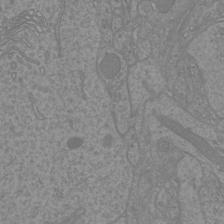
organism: Mouse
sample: Cortical neurons